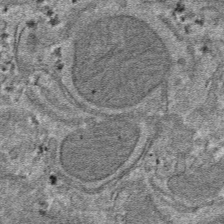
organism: Mouse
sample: Mouse hepatocytes